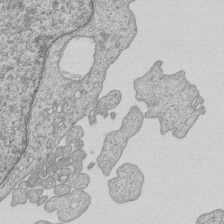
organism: Human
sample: MDA-MB-231 cells